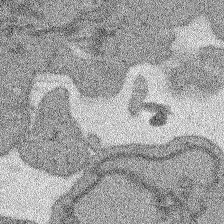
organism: Human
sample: HeLa cells